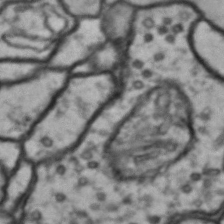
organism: Drosophila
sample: Brain